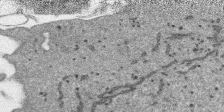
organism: Human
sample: Lung epithelial cells infected with SARS-CoV-2